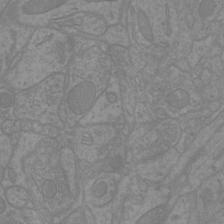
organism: Mouse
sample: Cortical neurons